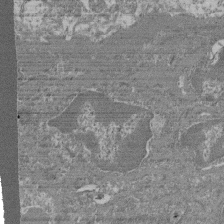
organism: Mouse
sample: Glomerulus